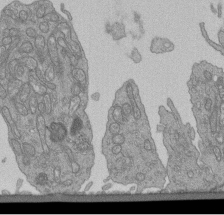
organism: Human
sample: Retinal organoid Rod and Cone cells